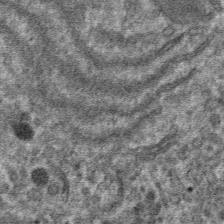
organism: Mouse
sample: Mouse hepatocytes